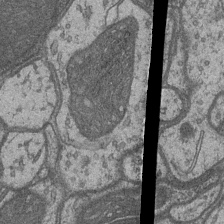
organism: Drosophila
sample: Optic medulla